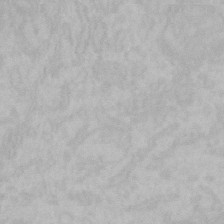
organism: Mouse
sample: Choroid plexus